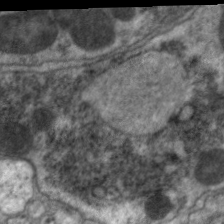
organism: C. elegans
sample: Pharynx